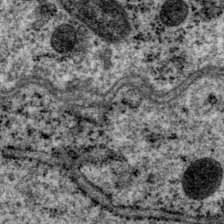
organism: P. pacificus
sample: Pharynx